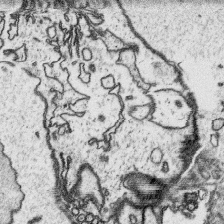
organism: Platynereis dumerilii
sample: Parapodia